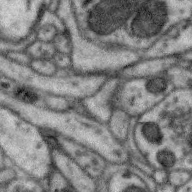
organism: Zebra finch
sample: Brain